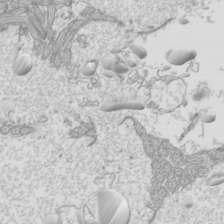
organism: Mouse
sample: Cilia; mouse epididymis